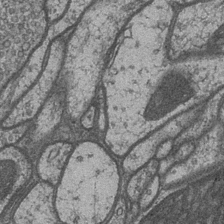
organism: Drosophila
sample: Optic medulla